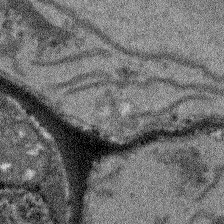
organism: Arabidopsis thaliana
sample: Root tip